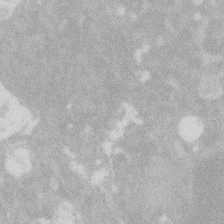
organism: Zebrafish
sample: Macrophage